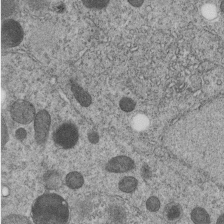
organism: C. elegans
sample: C. elegans embryo early stage